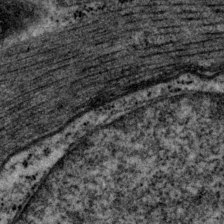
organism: P. pacificus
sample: Pharynx